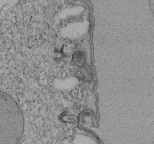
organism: Tetrahymena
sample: Cilia in tetrahymena